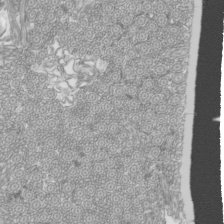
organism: Mouse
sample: Cilia; mouse epididymis